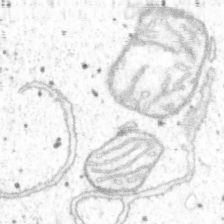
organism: Human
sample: HeLa cells